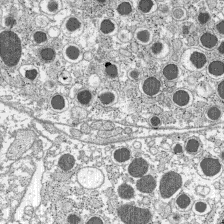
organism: C57BL Mouse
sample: Pancreatic islet